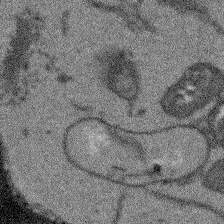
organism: Arabidopsis thaliana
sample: Root tip